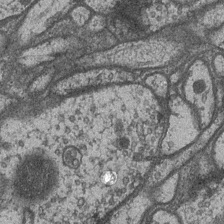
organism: Drosophila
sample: Optic medulla